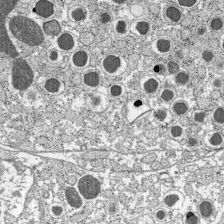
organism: C57BL Mouse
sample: Pancreatic islet